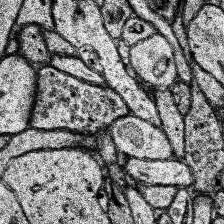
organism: Human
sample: Temporal Lobe